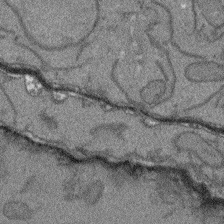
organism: Arabidopsis thaliana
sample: Root tip